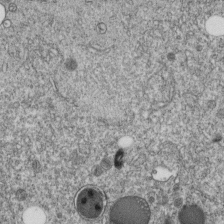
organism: C. elegans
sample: C. elegans embryo early stage